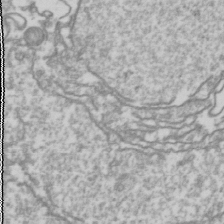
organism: Drosophila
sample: Cell division; meiosis; drosophila spermatocytes